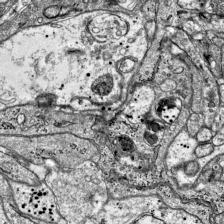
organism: Mouse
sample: Visual Cortex